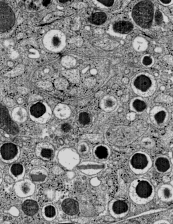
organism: C57BL Mouse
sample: Pancreatic islet